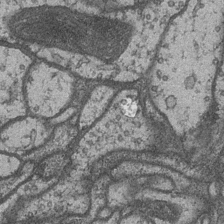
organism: Drosophila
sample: Optic medulla